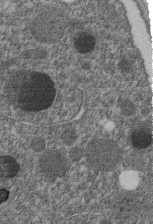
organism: C. elegans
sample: C. elegans embryo early stage